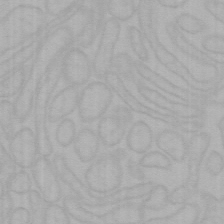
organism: Mouse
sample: Choroid plexus